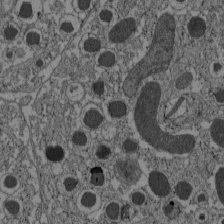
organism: C57BL Mouse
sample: Pancreatic islet